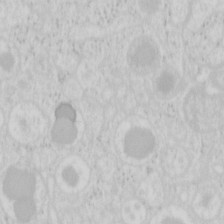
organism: Mouse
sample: Pancreas